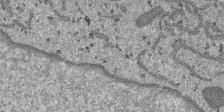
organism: Human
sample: Lung epithelial cells infected with SARS-CoV-2